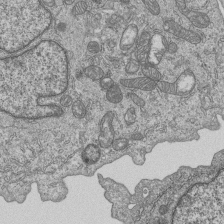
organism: Human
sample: MDA-MB-231 cells